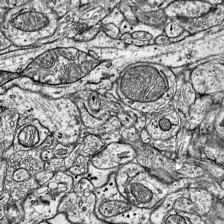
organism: Mouse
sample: Visual Cortex